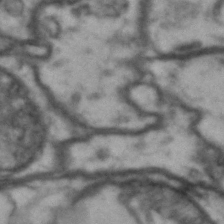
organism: Drosophila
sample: Brain